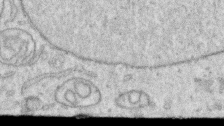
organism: Human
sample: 1205lu cells